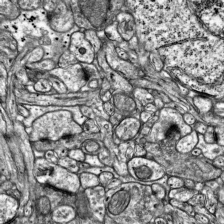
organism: Mouse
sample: Visual Cortex